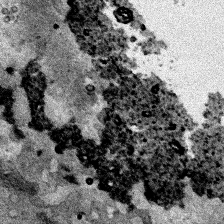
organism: Human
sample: Mitochondria in HCT116 cells